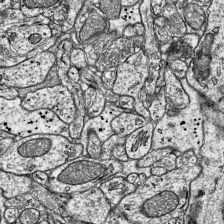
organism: Mouse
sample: Visual Cortex